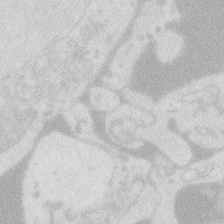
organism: Zebrafish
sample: Macrophage